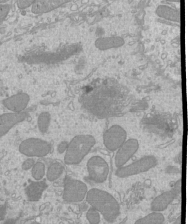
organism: Mouse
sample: Cilia; mouse epididymis